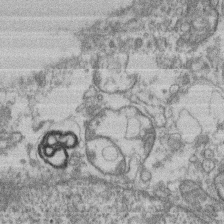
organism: Mouse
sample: T cell stromal cell synapse